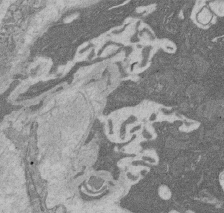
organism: Rat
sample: Salivary granule